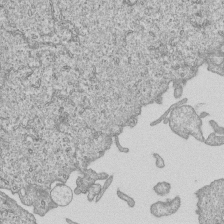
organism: Human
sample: MDA-MB-231 cells